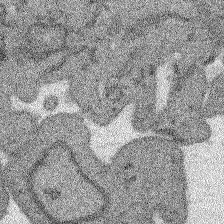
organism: Human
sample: HeLa cells